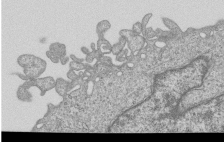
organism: Human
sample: MDA-MB-231 cells